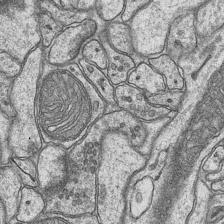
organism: Mouse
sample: CA1 Hippocampus